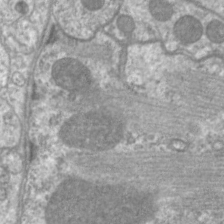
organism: C. elegans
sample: Pharynx